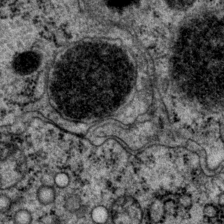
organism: P. pacificus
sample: Pharynx